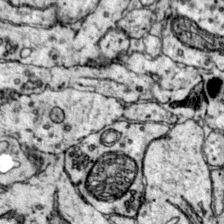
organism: Mouse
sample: Primary visual cortex